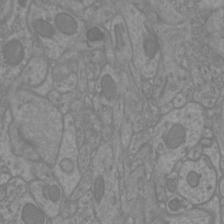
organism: Mouse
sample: Cortical neurons